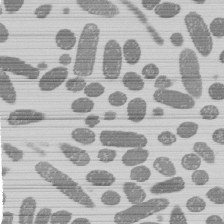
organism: E. coli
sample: Bacterial nucleoid